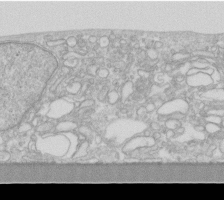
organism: Human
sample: Fibroblast cells